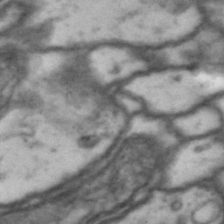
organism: Drosophila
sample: Brain